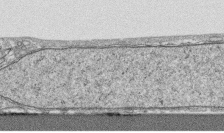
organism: Human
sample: CRL-1474